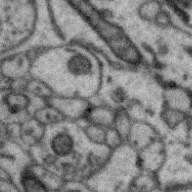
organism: Zebra finch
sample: Brain